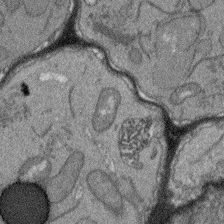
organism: Arabidopsis thaliana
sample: Root tip